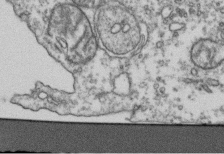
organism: Human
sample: Activated Jurkat CD4+ T cells